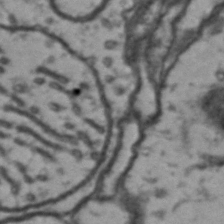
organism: Drosophila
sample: Brain